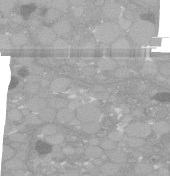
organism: C. elegans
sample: C. elegans oocyte; sperm cells